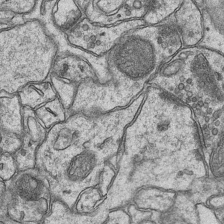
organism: Mouse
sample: CA1 Hippocampus